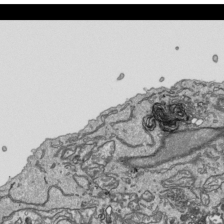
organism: Human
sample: Mitochondria in HCT116 cells